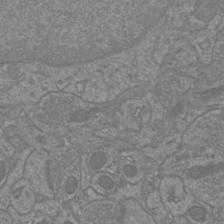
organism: Mouse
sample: Cortical neurons